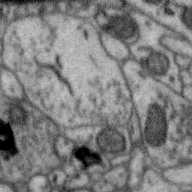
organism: Zebra finch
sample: Brain